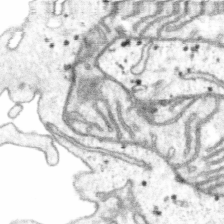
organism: Human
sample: HeLa cells